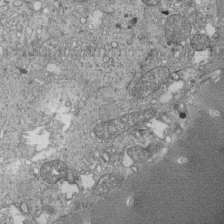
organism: Tetrahymena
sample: Cilia in tetrahymena